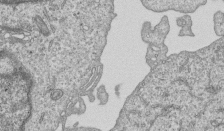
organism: Human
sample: MDA-MB-231 cells